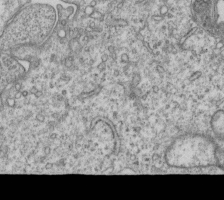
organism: Human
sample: MDA-MB-231 cells